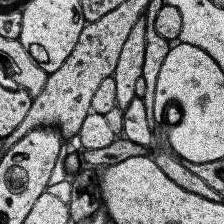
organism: Human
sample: Temporal Lobe